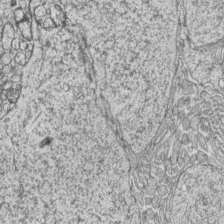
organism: Zebrafish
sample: synaptic ribbons in rod cells and cone cells